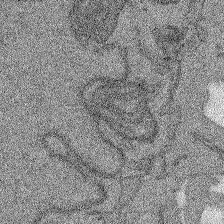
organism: Human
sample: HeLa cells